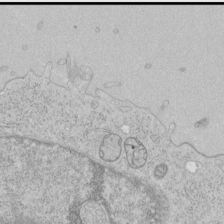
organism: Human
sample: Mitochondria in HCT116 cells